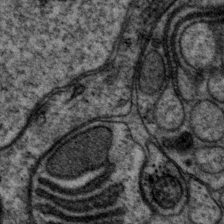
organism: P. pacificus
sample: Pharynx